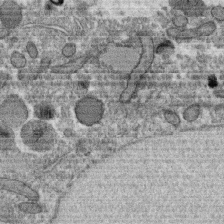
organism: C. elegans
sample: C. elegans oocyte; sperm cells